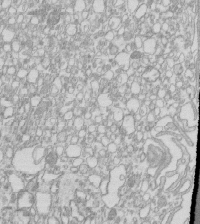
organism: Mouse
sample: Macrophages